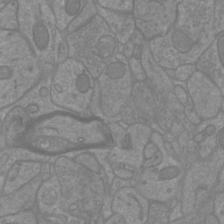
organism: Mouse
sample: Cortical neurons